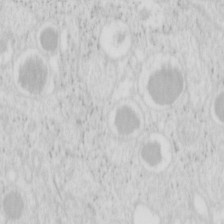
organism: Mouse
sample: Pancreas